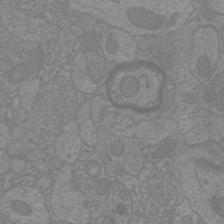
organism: Mouse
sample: Cortical neurons